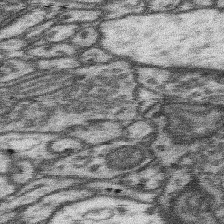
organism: Mouse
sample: Somatosensory cortex neuropil